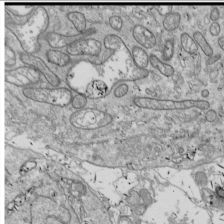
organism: Drosophila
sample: Cell division; meiosis; drosophila spermatocytes